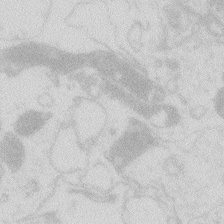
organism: Zebrafish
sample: Macrophage